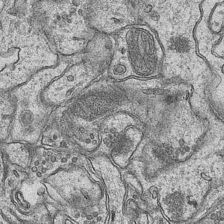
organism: Mouse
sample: CA1 Hippocampus